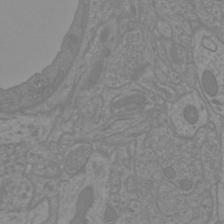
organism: Mouse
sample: Cortical neurons